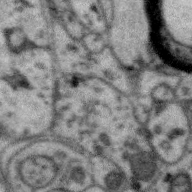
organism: Zebra finch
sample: Brain